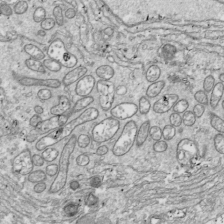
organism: Drosophila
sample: Cell division; meiosis; drosophila spermatocytes